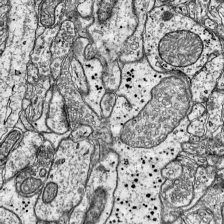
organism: Mouse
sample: Visual Cortex